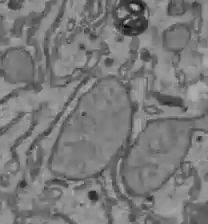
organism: C57BL Mouse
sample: Liver